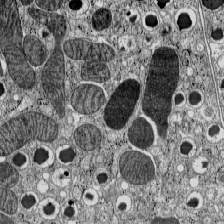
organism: C57BL Mouse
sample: Pancreatic islet